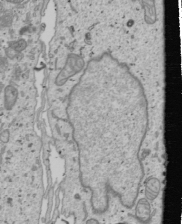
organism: Human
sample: Mitochondria in U2OS cells